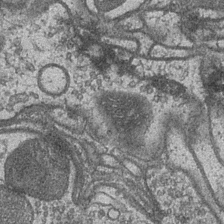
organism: Drosophila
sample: Optic medulla